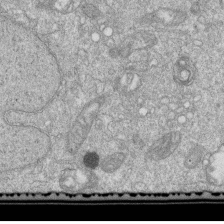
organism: Human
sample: HeLa cell HIV synapse